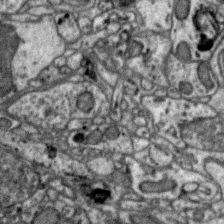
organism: Zebra finch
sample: Brain